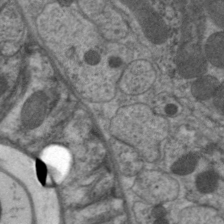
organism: C. elegans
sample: Pharynx